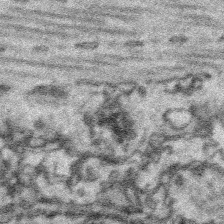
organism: Platynereis dumerilii